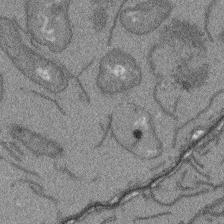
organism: Arabidopsis thaliana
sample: Root tip